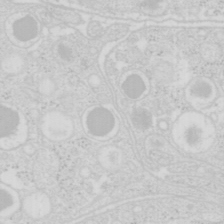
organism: Mouse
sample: Pancreas